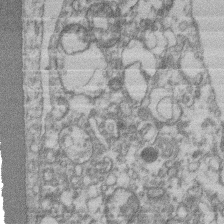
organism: Mouse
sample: T cell stromal cell synapse